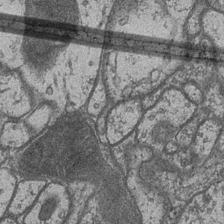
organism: Drosophila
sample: Optic medulla